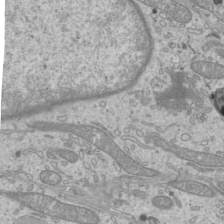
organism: Mouse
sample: Cilia; mouse epididymis